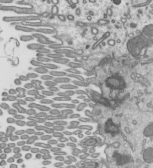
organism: Mouse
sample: Mouse epididymis efferent ductule cilia